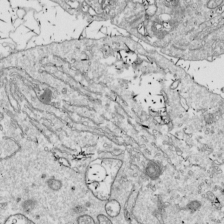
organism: Drosophila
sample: Cell division; meiosis; drosophila spermatocytes